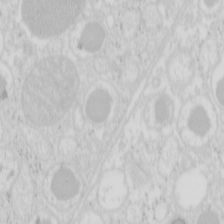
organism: Mouse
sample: Pancreas